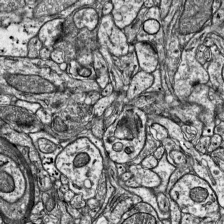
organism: Mouse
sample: Visual Cortex